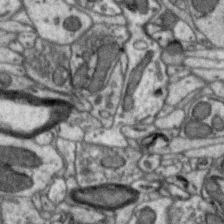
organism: Zebra finch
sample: Brain